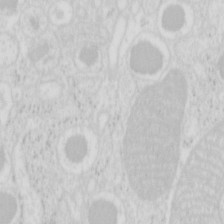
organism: Mouse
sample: Pancreas